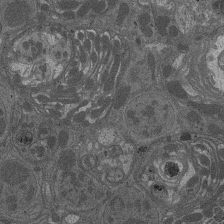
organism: Drosophila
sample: Antenna